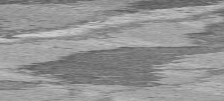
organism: C57BL Mouse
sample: Heart